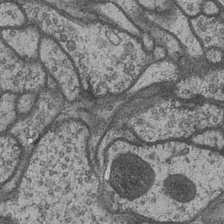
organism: Drosophila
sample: Optic medulla